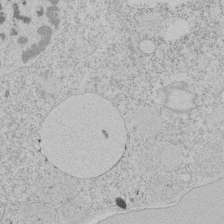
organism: Tetrahymena